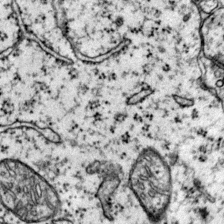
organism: Mouse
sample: Primary visual cortex